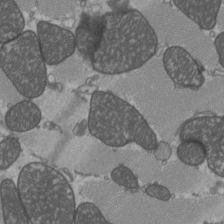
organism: C57BL Mouse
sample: Heart